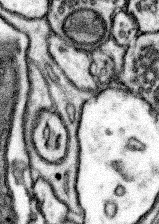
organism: Mouse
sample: Somatosensory cortex neuropil